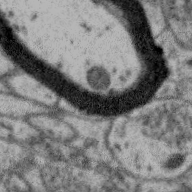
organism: Zebra finch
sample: Brain